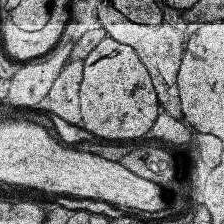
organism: Human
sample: Temporal Lobe